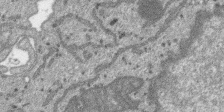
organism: Human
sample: Lung epithelial cells infected with SARS-CoV-2